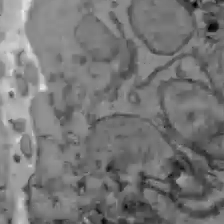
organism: C57BL Mouse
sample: Liver